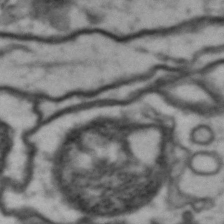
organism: Drosophila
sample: Brain